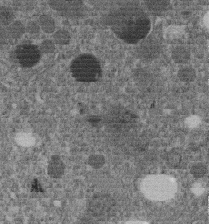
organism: C. elegans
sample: C. elegans embryo early stage